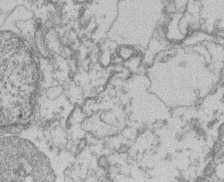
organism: Mouse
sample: T cell stromal cell synapse